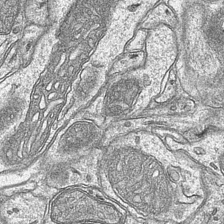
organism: Mouse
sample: CA1 Hippocampus